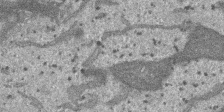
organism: Human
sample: Lung epithelial cells infected with SARS-CoV-2